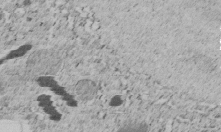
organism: C. elegans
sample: C. elegans embryo early stage